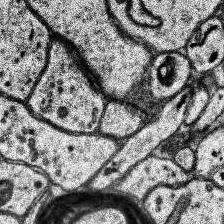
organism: Human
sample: Temporal Lobe